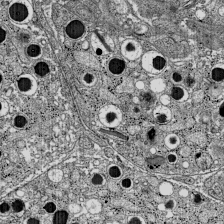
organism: C57BL Mouse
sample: Pancreatic islet